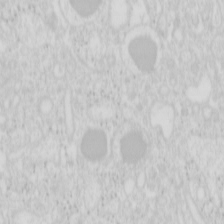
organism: Mouse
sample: Pancreas